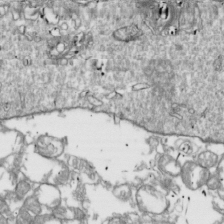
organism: Drosophila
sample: Cell division; meiosis; drosophila spermatocytes